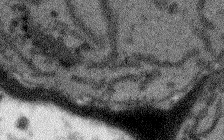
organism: Arabidopsis thaliana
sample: Root tip